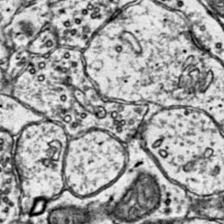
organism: Mouse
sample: Primary visual cortex